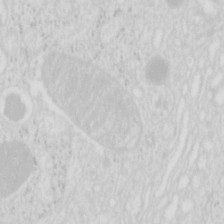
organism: Mouse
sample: Pancreas